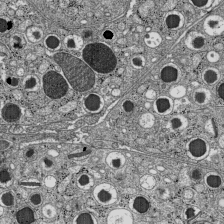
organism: C57BL Mouse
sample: Pancreatic islet